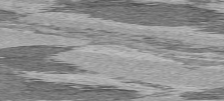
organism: C57BL Mouse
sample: Heart